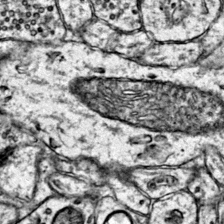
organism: Mouse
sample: Primary visual cortex